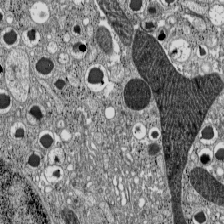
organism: C57BL Mouse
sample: Pancreatic islet